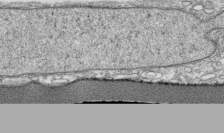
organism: Human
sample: CRL-1474